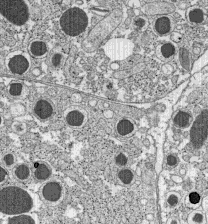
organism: C57BL Mouse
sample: Pancreatic islet